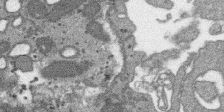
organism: Human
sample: Lung epithelial cells infected with SARS-CoV-2